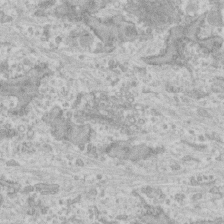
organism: Human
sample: CRL-1474